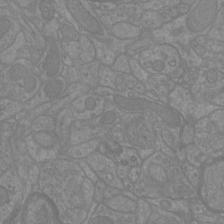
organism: Mouse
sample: Cortical neurons